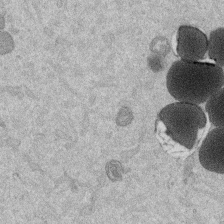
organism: Mouse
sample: Dividing mouse embryo 1 cell stage